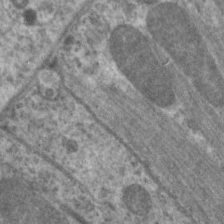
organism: C. elegans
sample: Pharynx